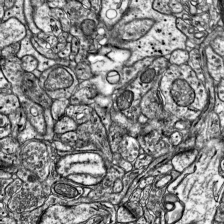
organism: Mouse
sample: Visual Cortex